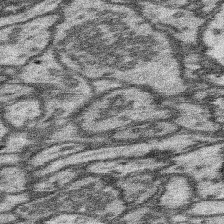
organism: Mouse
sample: Somatosensory cortex neuropil